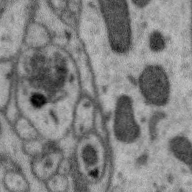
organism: Zebra finch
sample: Brain